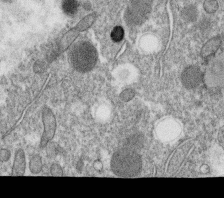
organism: C. elegans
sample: C. elegans oocyte; sperm cells